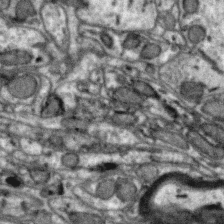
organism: Zebra finch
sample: Brain